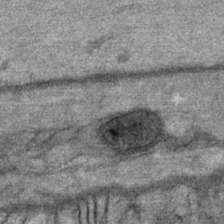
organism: Mouse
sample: Mouse Salivary gland